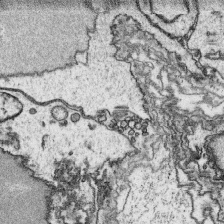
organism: Platynereis dumerilii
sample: Parapodia